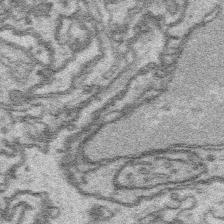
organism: Platynereis dumerilii